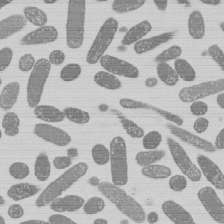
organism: E. coli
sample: Bacterial nucleoid